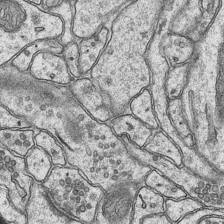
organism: Mouse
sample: CA1 Hippocampus